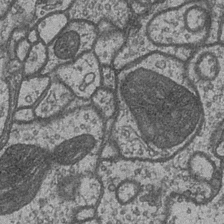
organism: Drosophila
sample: Optic medulla